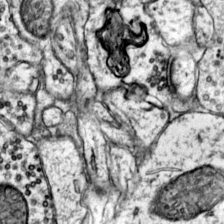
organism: Mouse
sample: Primary visual cortex